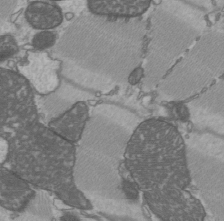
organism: C57BL Mouse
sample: Heart